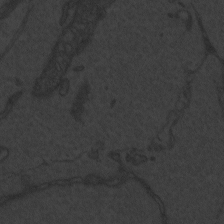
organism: Zebrafish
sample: Macrophage infected with Toxoplasma gondii